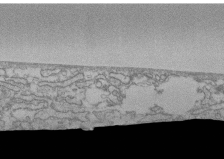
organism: Human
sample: CRL-1474